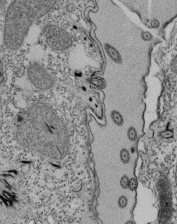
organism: Tetrahymena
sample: Cilia in tetrahymena